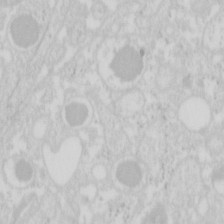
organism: Mouse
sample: Pancreas